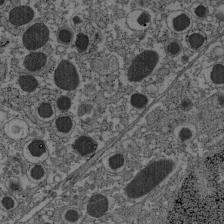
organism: C57BL Mouse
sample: Pancreatic islet